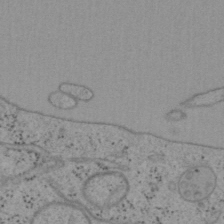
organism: Human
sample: HeLa cells